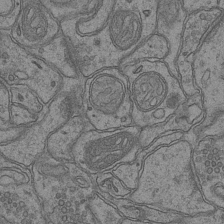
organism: Mouse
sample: CA1 Hippocampus